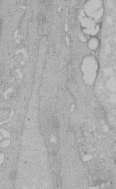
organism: Human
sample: Melanocyte Keratinocyte synapse skin construct